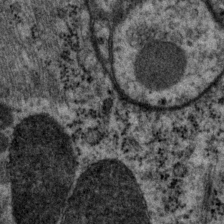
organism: P. pacificus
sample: Pharynx